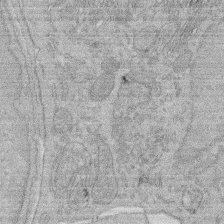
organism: Rat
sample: Salivary granule